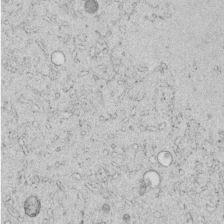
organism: C. elegans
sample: C. elegans embryo early stage